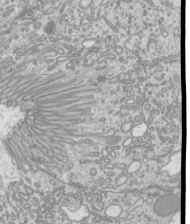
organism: Mouse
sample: Cilia; mouse epididymis